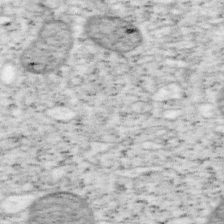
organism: Mouse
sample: OT-I killer T cells with ID8 ovarian cancer cells